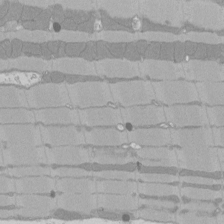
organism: Rat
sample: Left ventricle